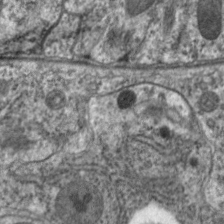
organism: C. elegans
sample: Pharynx